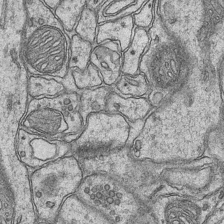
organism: Mouse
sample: CA1 Hippocampus